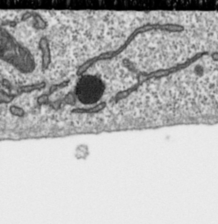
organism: Toxoplasma gondii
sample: Parasites in a vacuole inside a host cell